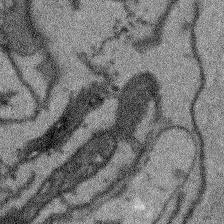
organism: Arabidopsis thaliana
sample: Root tip